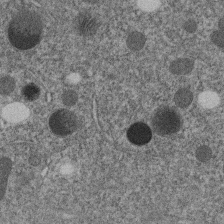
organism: C. elegans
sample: C. elegans embryo early stage